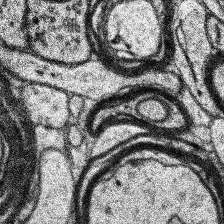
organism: Human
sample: Temporal Lobe